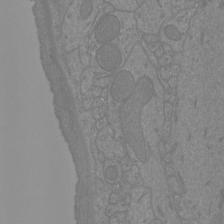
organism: Mouse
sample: Cortical neurons